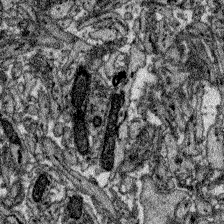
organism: Zebrafish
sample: Larval olfactory bulb